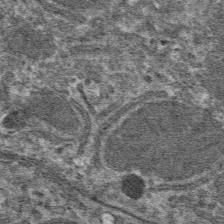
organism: Mouse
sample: Mouse hepatocytes